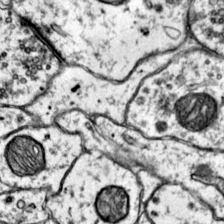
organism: Mouse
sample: Primary visual cortex